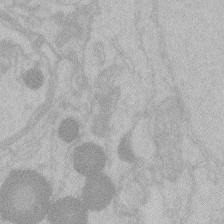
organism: Zebrafish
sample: Macrophage infected with Toxoplasma gondii